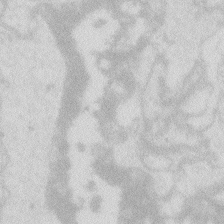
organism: Zebrafish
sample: Macrophage